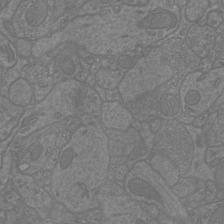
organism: Mouse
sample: Cortical neurons